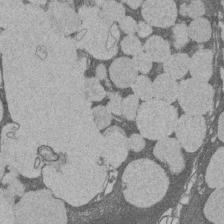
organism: Rat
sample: Salivary granule